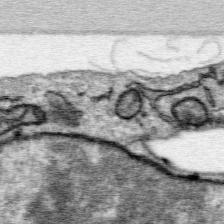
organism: Human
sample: HeLa cells